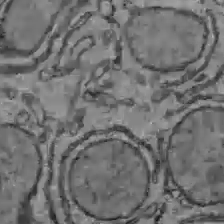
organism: C57BL Mouse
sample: Liver